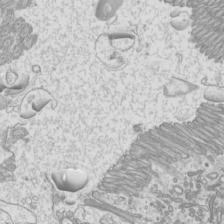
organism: Mouse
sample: Cilia; mouse epididymis